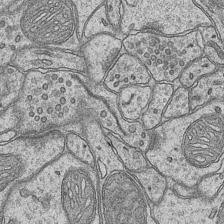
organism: Mouse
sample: CA1 Hippocampus